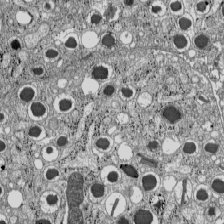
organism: C57BL Mouse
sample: Pancreatic islet